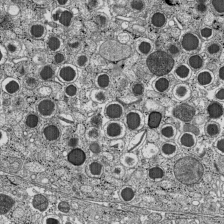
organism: C57BL Mouse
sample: Pancreatic islet